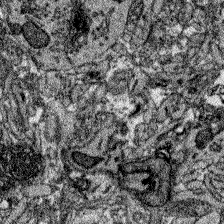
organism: Zebrafish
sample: Larval olfactory bulb